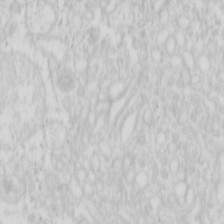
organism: Mouse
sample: Pancreas